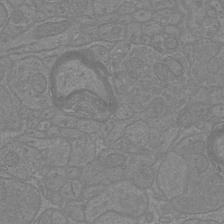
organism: Mouse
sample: Cortical neurons